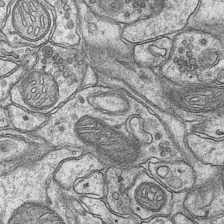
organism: Mouse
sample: CA1 Hippocampus